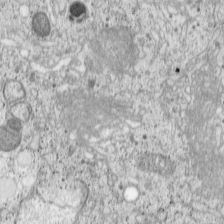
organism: African green monkey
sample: COS-7 cells